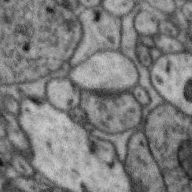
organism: Zebra finch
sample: Brain